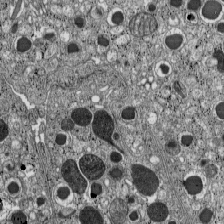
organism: C57BL Mouse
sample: Pancreatic islet